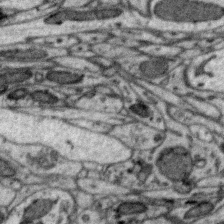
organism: Zebra finch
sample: Brain